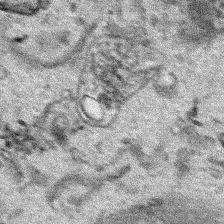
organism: Human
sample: Mitochondria in HCT116 cells